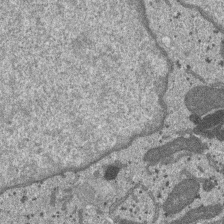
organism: Human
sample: Lung epithelial cells infected with SARS-CoV-2